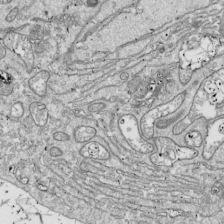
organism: Drosophila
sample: Cell division; meiosis; drosophila spermatocytes